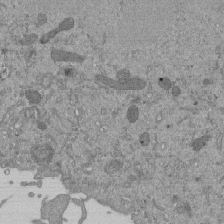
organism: Mouse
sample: ED-1 cell nuclei; centrioles